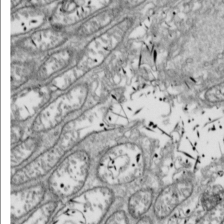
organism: Drosophila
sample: Cell division; meiosis; drosophila spermatocytes